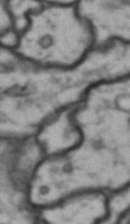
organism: Drosophila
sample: Brain